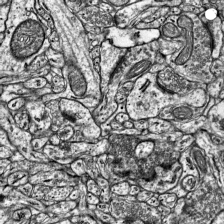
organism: Mouse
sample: Visual Cortex